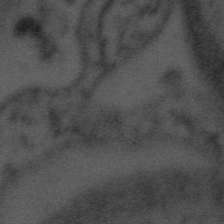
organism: Tuwongella immobilis